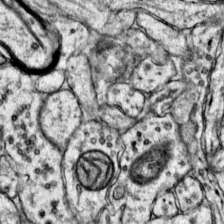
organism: Mouse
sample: Primary visual cortex